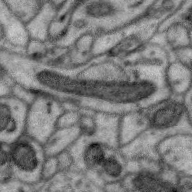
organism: Zebra finch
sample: Brain